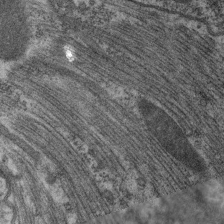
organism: C. elegans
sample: Pharynx